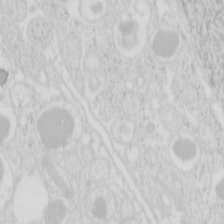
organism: Mouse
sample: Pancreas